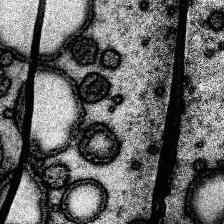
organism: Human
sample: Temporal Lobe